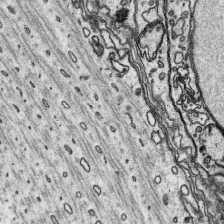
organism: Platynereis dumerilii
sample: Parapodia